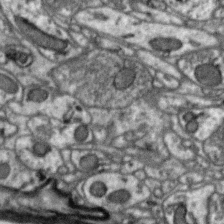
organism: Zebra finch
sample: Brain